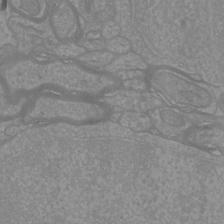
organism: Mouse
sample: Cortical neurons